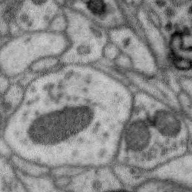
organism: Zebra finch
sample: Brain